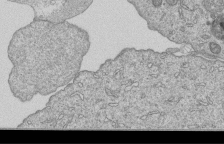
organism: Human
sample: MDA-MB-231 cells